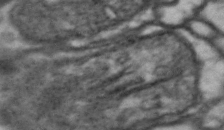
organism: Drosophila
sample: Brain